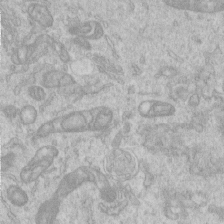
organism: Human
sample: Centriole in RPE cells